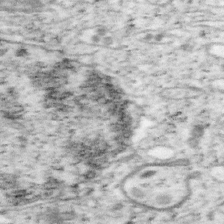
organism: Mouse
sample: OT-I killer T cells with ID8 ovarian cancer cells